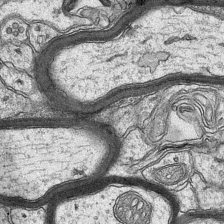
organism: Mouse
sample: CA1 Hippocampus